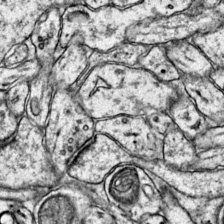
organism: Mouse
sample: Primary visual cortex